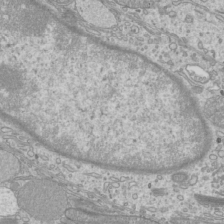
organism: Mouse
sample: Cilia; mouse epididymis